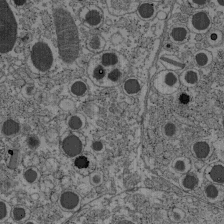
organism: C57BL Mouse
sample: Pancreatic islet